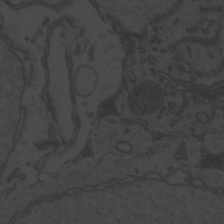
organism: Zebrafish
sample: Macrophage infected with Toxoplasma gondii